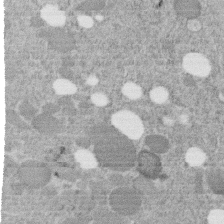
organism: C. elegans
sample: C. elegans embryo early stage